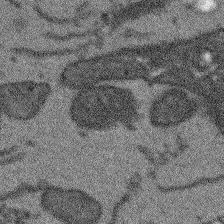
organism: Arabidopsis thaliana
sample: Root tip